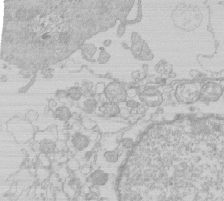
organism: Human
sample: Macrophage cells